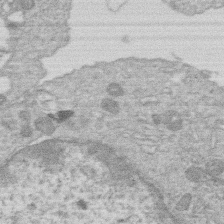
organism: Human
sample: Macrophage cells